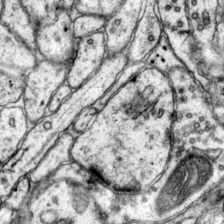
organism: Mouse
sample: Primary visual cortex